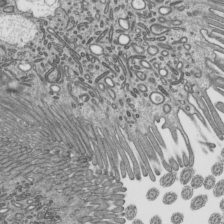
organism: Mouse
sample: Mouse epididymis efferent ductule cilia